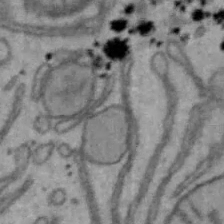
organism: Mouse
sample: Liver